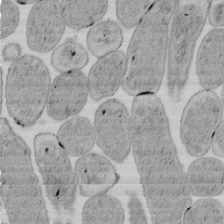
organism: E. coli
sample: Bacterial nucleoid